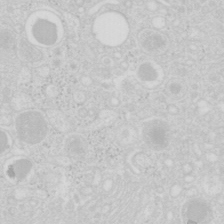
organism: Mouse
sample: Pancreas